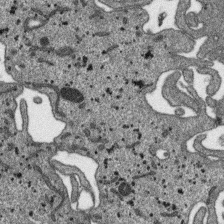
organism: Human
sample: Lung epithelial cells infected with SARS-CoV-2